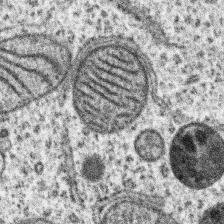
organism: Human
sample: HeLa cells